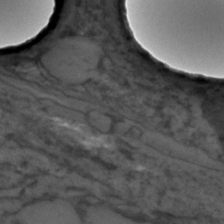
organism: C. elegans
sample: C. elegans embryo